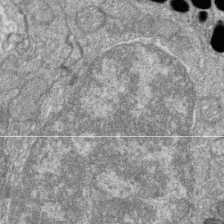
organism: Zebrafish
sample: Cilia; retinal pigment epithelium